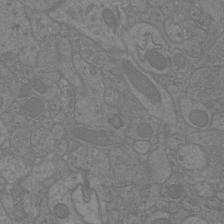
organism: Mouse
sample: Cortical neurons